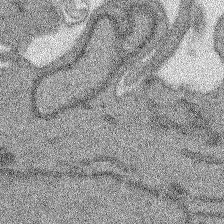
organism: Human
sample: HeLa cells